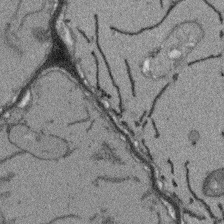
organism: Arabidopsis thaliana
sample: Root tip